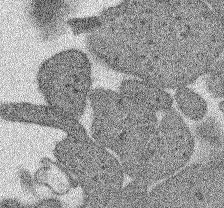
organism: Human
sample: HeLa cells